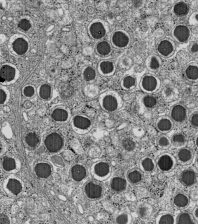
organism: C57BL Mouse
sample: Pancreatic islet